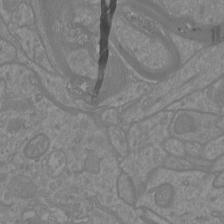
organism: Mouse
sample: Cortical neurons